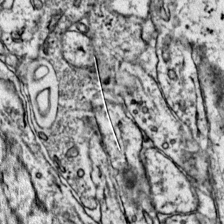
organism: Mouse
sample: Primary visual cortex